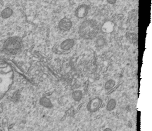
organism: Human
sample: MDA-MB-231 cells